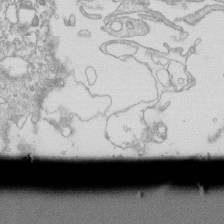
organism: Mouse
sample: Macrophages